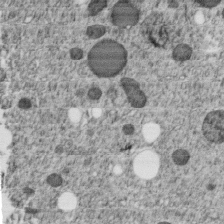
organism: C. elegans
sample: C. elegans embryo early stage